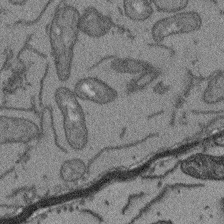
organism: Arabidopsis thaliana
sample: Root tip